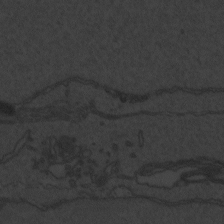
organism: Zebrafish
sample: Macrophage infected with Toxoplasma gondii